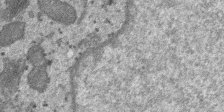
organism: Human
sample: Lung epithelial cells infected with SARS-CoV-2